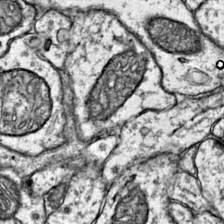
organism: Mouse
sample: Primary visual cortex